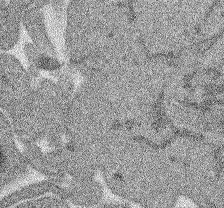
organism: Human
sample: HeLa cells